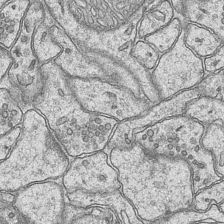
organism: Mouse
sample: CA1 Hippocampus